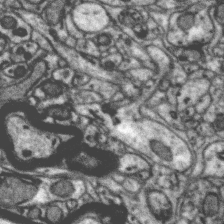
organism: Zebra finch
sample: Brain